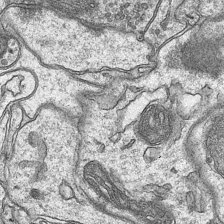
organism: Mouse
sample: CA1 Hippocampus